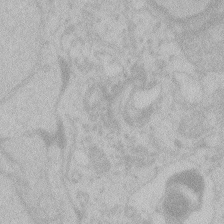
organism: Zebrafish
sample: Macrophage infected with Toxoplasma gondii